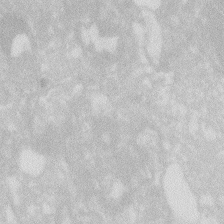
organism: Zebrafish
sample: Macrophage